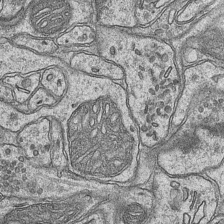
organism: Mouse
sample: CA1 Hippocampus